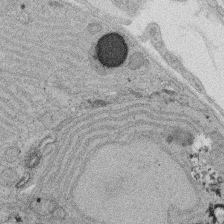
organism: Rat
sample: Salivary granule